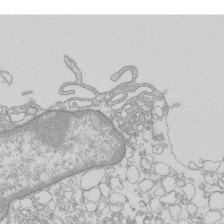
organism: Mouse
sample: Macrophages